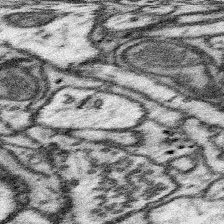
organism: Mouse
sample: Somatosensory cortex neuropil